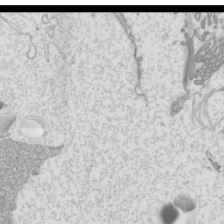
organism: Mouse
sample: Cilia; mouse epididymis